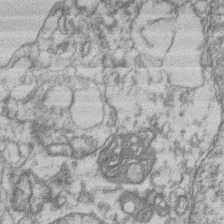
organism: Mouse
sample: T cell stromal cell synapse